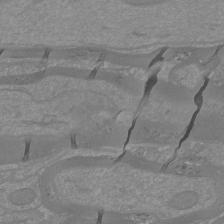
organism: Mouse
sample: Cortical neurons